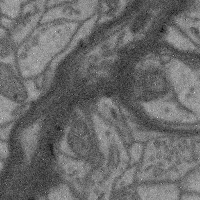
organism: Mouse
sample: Cerebral cortex